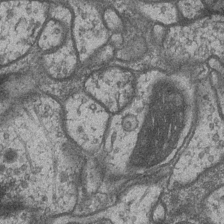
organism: Drosophila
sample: Optic medulla